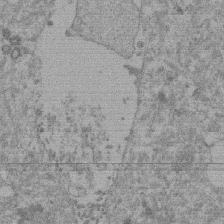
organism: Mouse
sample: Dividing mouse embryo 1 cell stage